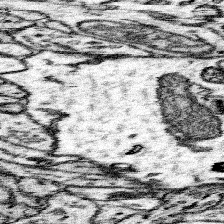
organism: Mouse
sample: Somatosensory cortex neuropil